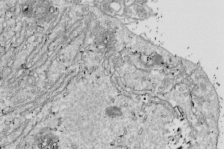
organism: Drosophila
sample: Cell division; meiosis; drosophila spermatocytes